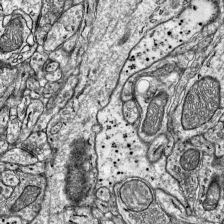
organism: Mouse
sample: Visual Cortex